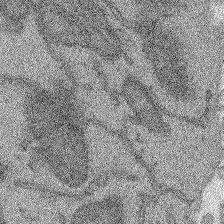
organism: Human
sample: HeLa cells